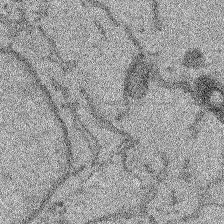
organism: Human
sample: HeLa cells